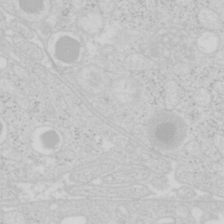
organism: Mouse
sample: Pancreas